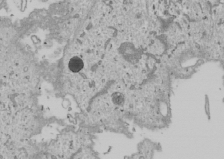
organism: Human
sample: Mitochondria in U2OS cells